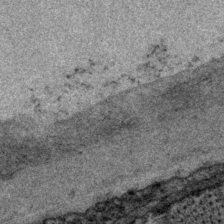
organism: P. pacificus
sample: Pharynx